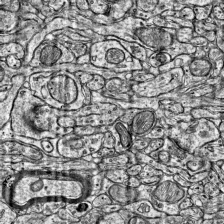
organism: Mouse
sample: Visual Cortex